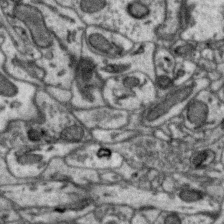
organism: Zebra finch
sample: Brain